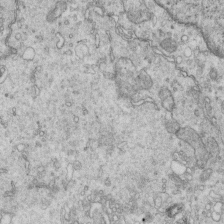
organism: Mouse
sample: Multiciliated cells